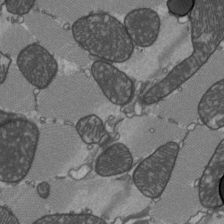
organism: C57BL Mouse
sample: Heart